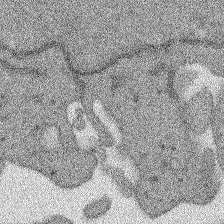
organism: Human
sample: HeLa cells